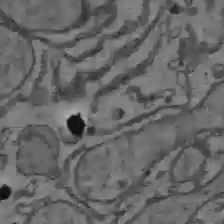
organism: C57BL Mouse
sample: Liver